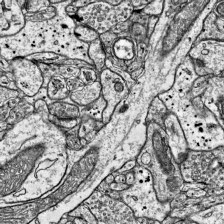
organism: Mouse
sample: Visual Cortex